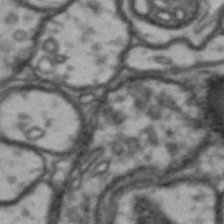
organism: Drosophila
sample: Brain